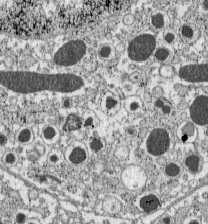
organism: C57BL Mouse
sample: Pancreatic islet